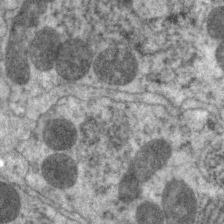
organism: C. elegans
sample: Pharynx